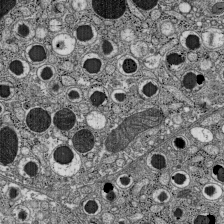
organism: C57BL Mouse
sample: Pancreatic islet